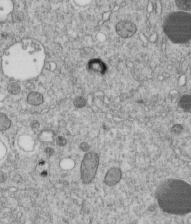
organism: C. elegans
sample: C. elegans embryo early stage